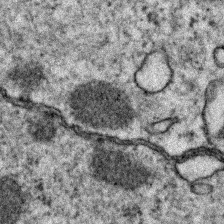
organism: Zebrafish